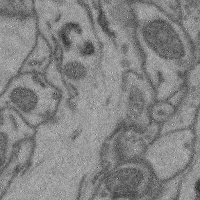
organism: Mouse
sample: Cerebral cortex